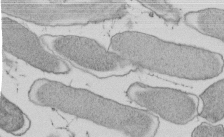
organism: E. coli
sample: Bacterial nucleoid